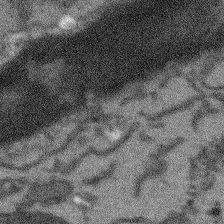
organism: Arabidopsis thaliana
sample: Root tip